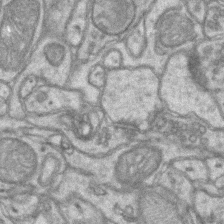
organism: Mouse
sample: CA1 Hippocampus